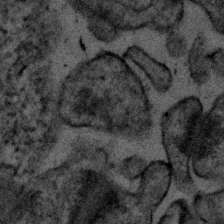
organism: Human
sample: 1205lu cells